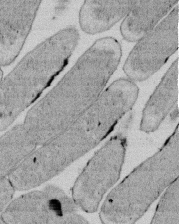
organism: E. coli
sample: Bacterial nucleoid